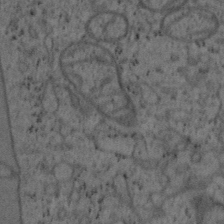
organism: Human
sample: HeLa cells